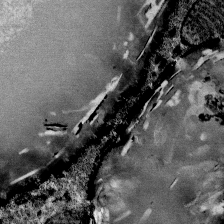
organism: Mouse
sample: Mouse Salivary gland